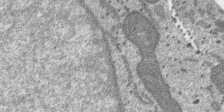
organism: Human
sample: Lung epithelial cells infected with SARS-CoV-2